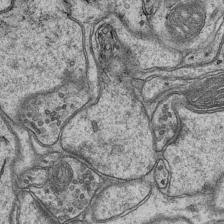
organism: Mouse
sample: CA1 Hippocampus